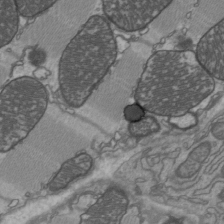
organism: C57BL Mouse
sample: Heart